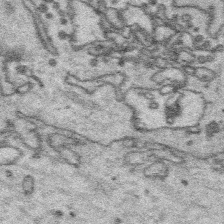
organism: Platynereis dumerilii